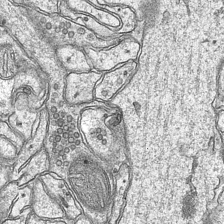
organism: Mouse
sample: CA1 Hippocampus